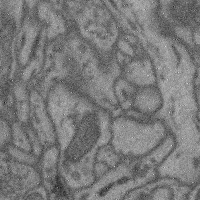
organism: Mouse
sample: Cerebral cortex